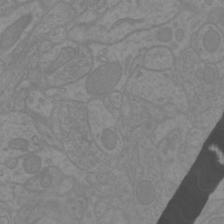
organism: Mouse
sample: Cortical neurons